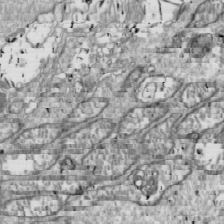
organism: Drosophila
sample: Cell division; meiosis; drosophila spermatocytes